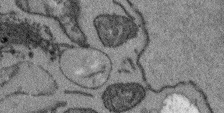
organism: Arabidopsis thaliana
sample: Root tip